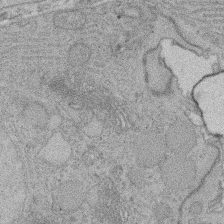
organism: Rat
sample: Salivary granule